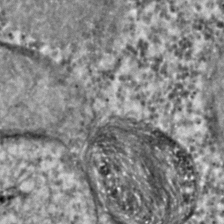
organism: C. elegans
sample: C. elegans embryo